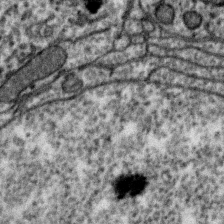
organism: Zebra finch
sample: Brain